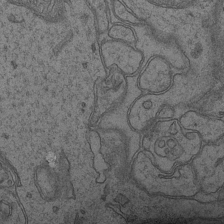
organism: Mouse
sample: CA1 Hippocampus